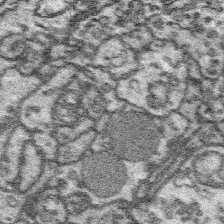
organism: Platynereis dumerilii